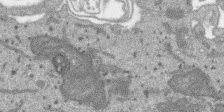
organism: Human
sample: Lung epithelial cells infected with SARS-CoV-2